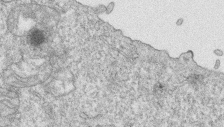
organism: Human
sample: HeLa cell HIV synapse